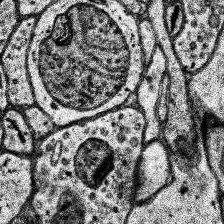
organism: Human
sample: Temporal Lobe